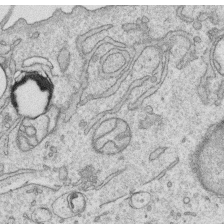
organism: Human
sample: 1205lu cells